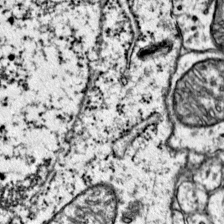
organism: Mouse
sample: Primary visual cortex